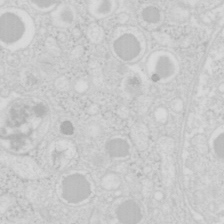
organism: Mouse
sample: Pancreas